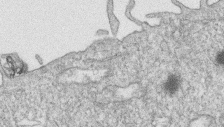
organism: Human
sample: HeLa cell HIV synapse